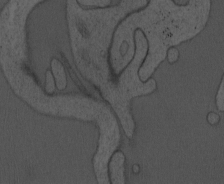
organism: Mouse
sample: OT-I killer T cells with ID8 ovarian cancer cells